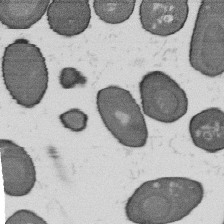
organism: B. subtilis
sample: Bacterial spore